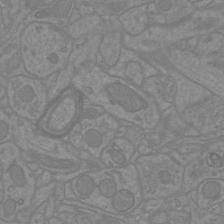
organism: Mouse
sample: Cortical neurons